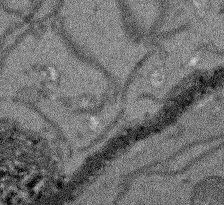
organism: Arabidopsis thaliana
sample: Root tip